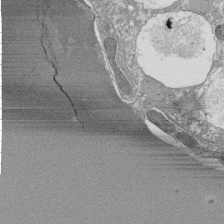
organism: Tetrahymena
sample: Cilia in tetrahymena